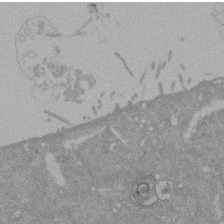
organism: Mouse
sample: ED-1 cell nuclei; centrioles